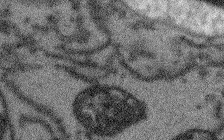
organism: Arabidopsis thaliana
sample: Root tip